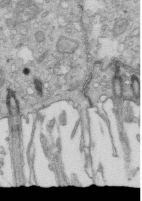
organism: Mouse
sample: Multiciliated cells